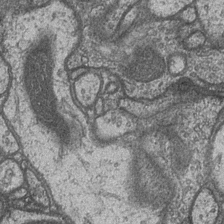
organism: Drosophila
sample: Optic medulla